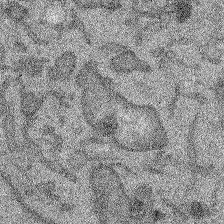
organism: Human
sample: HeLa cells